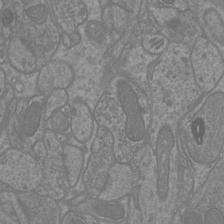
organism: Mouse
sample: Cortical neurons